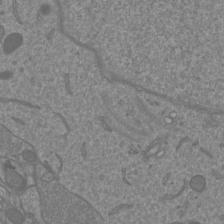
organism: Mouse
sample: Cortical neurons